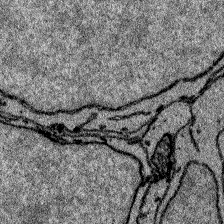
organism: Zebrafish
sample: Larval olfactory bulb